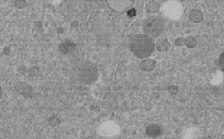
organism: C. elegans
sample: C. elegans embryo early stage